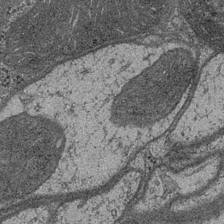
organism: Drosophila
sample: Optic medulla